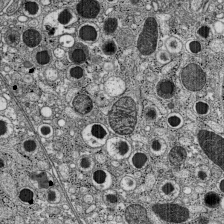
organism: C57BL Mouse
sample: Pancreatic islet